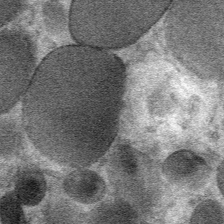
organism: Mouse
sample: Mouse Salivary gland